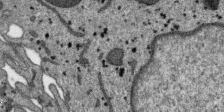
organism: Human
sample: Lung epithelial cells, uninfected (mock) control